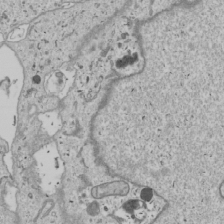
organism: Human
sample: Mitochondria in U2OS cells